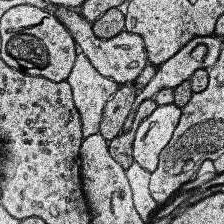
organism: Human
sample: Temporal Lobe